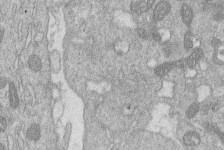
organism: Human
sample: Macrophage cells